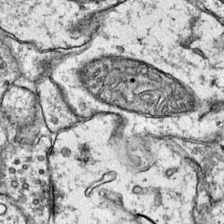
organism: Mouse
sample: Primary visual cortex